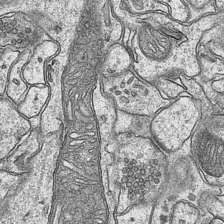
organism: Mouse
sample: CA1 Hippocampus